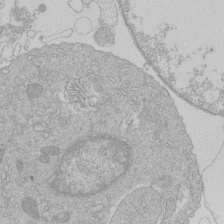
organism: Human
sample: Macrophage cells